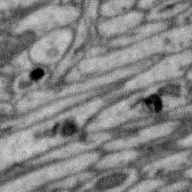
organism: Zebra finch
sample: Brain